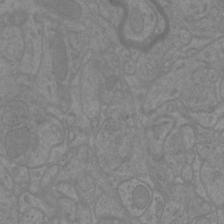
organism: Mouse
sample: Cortical neurons